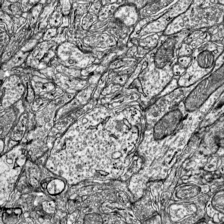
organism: Mouse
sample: Visual Cortex